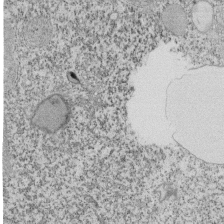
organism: Tetrahymena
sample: Cilia in tetrahymena